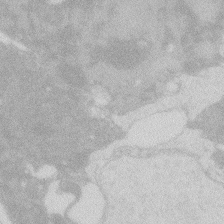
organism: Zebrafish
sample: Macrophage